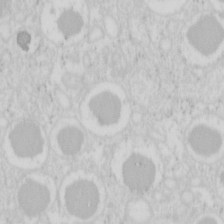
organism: Mouse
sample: Pancreas